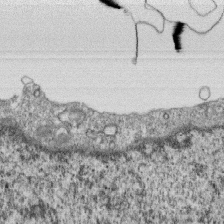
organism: African green monkey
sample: Vero E6 cells infected with SARS-CoV-2